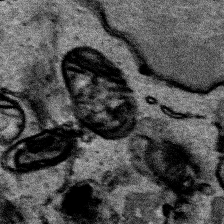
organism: Human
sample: Mitochondria in HCT116 cells